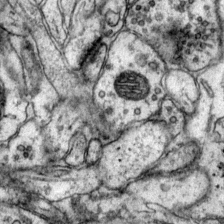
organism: Mouse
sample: Primary visual cortex